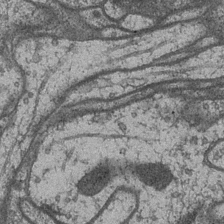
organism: Drosophila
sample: Optic medulla